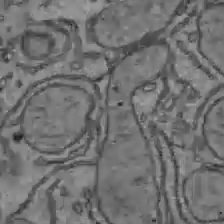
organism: C57BL Mouse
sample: Liver